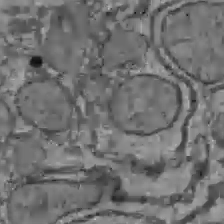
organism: C57BL Mouse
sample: Liver